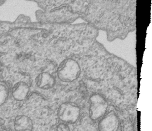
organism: Human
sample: MDA-MB-231 cells